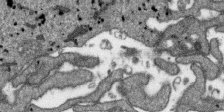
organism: Human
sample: Lung epithelial cells, uninfected (mock) control